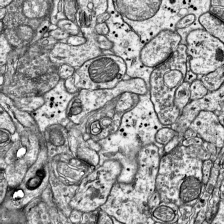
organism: Mouse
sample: Visual Cortex